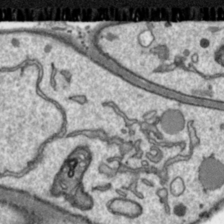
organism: Toxoplasma gondii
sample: Parasites in a vacuole inside a host cell